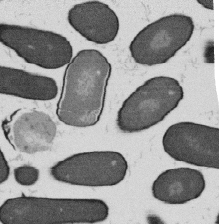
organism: B. subtilis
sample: Bacterial spore